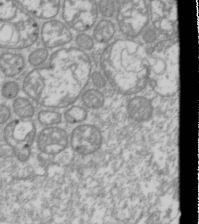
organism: Drosophila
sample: Cell division; meiosis; drosophila spermatocytes